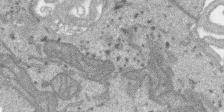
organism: Human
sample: Lung epithelial cells infected with SARS-CoV-2